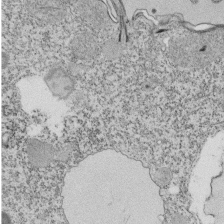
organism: Tetrahymena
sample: Cilia in tetrahymena